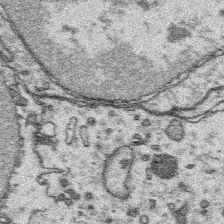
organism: Platynereis dumerilii